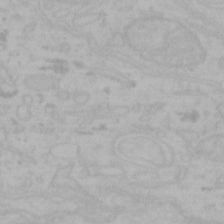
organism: Mouse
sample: Choroid plexus